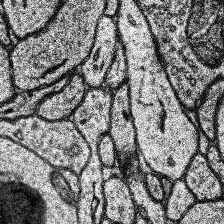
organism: Human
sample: Temporal Lobe